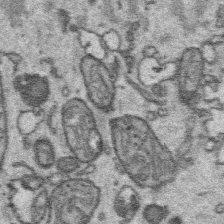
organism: Platynereis dumerilii